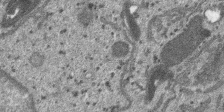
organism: Human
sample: Lung epithelial cells infected with SARS-CoV-2